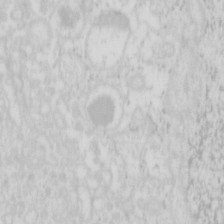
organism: Mouse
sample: Pancreas